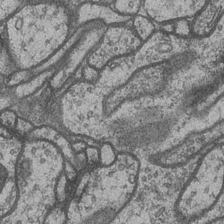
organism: Drosophila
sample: Optic medulla